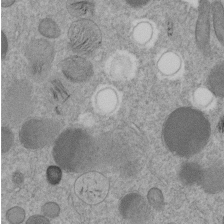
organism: C. elegans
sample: C. elegans embryo early stage